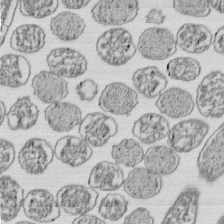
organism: E. coli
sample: Bacterial nucleoid